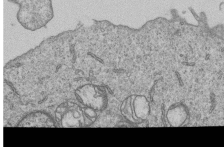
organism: Human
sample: MDA-MB-231 cells